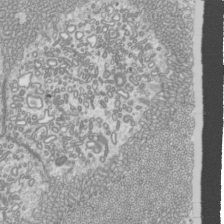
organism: Mouse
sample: Cilia; mouse epididymis